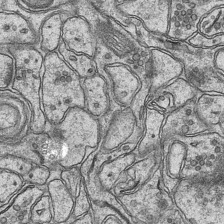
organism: Mouse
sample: CA1 Hippocampus